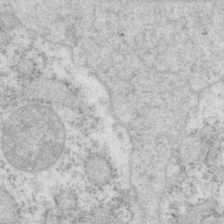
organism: P. pacificus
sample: Pharynx